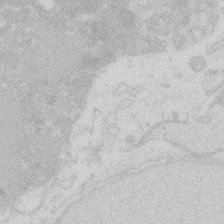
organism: Zebrafish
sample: Macrophage